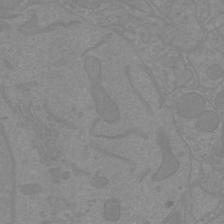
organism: Mouse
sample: Cortical neurons